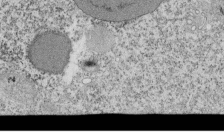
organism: Tetrahymena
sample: Cilia in tetrahymena